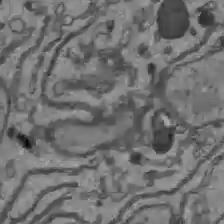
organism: C57BL Mouse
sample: Liver